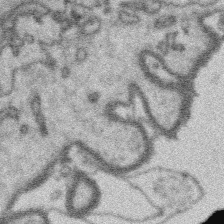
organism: Platynereis dumerilii